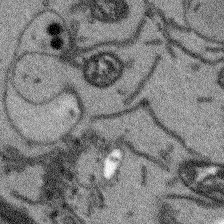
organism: Arabidopsis thaliana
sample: Root tip